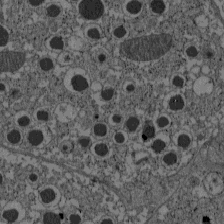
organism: C57BL Mouse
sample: Pancreatic islet